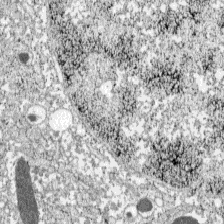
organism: C57BL Mouse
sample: Pancreatic islet